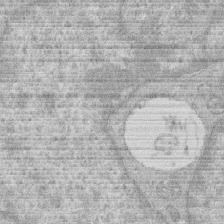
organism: Human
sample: Macrophage cells